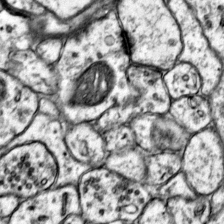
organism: Mouse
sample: Primary visual cortex